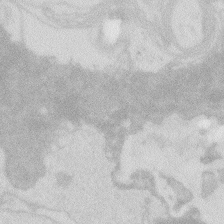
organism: Zebrafish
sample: Macrophage